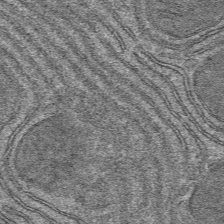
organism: Mouse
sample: Mouse hepatocytes